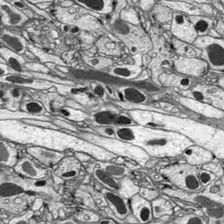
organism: Drosophila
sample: Optic lobe